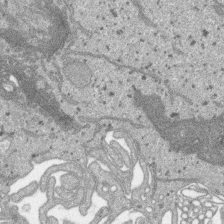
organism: Human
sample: Lung epithelial cells infected with SARS-CoV-2